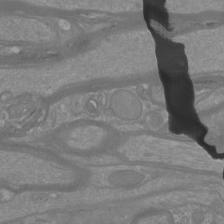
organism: Mouse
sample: Cortical neurons